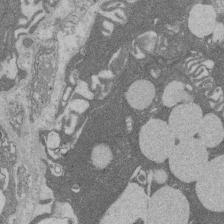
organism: Rat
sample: Salivary granule